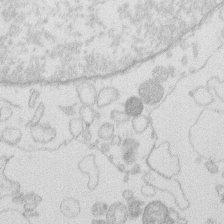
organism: Human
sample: Macrophage cells